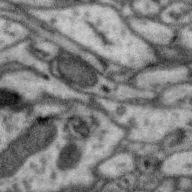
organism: Zebra finch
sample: Brain